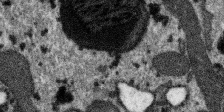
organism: Human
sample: Lung epithelial cells infected with SARS-CoV-2